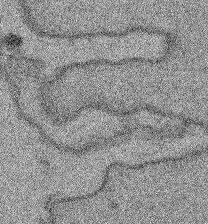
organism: Human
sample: HeLa cells